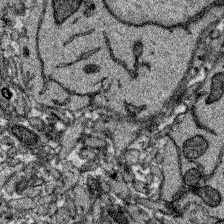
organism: Zebrafish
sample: Larval olfactory bulb